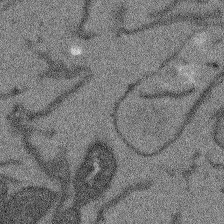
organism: Arabidopsis thaliana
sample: Root tip